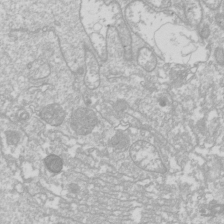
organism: Drosophila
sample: Cell division; meiosis; drosophila spermatocytes